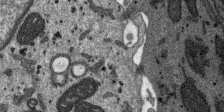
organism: Human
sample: Lung epithelial cells infected with SARS-CoV-2